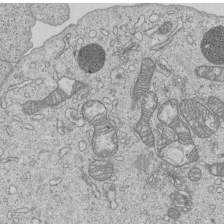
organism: Human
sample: MDA-MB-231 cells